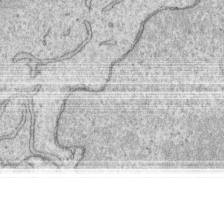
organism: Human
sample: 1205lu cells